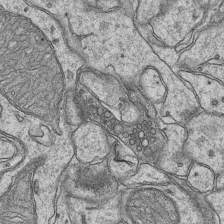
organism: Mouse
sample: CA1 Hippocampus